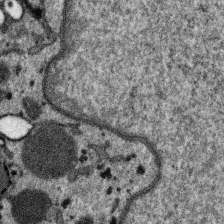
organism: Human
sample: Lung epithelial cells infected with SARS-CoV-2